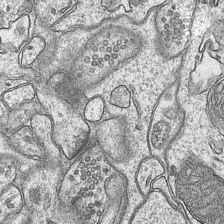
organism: Mouse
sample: CA1 Hippocampus